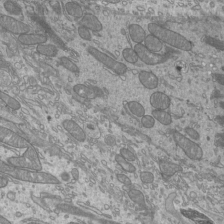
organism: Mouse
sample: Cilia; mouse epididymis